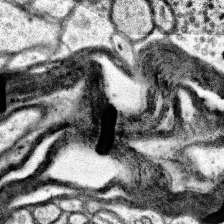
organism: Human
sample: Temporal Lobe